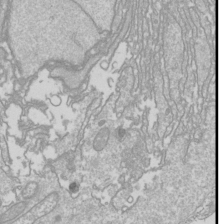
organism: Drosophila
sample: Cell division; meiosis; drosophila spermatocytes